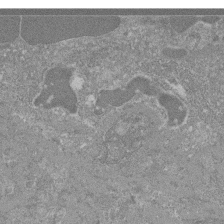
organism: Mouse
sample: Glomerulus